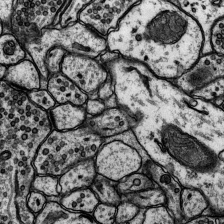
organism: Rat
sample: Hippocampus